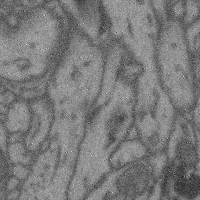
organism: Mouse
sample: Cerebral cortex